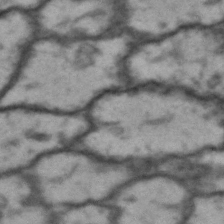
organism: Drosophila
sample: Brain